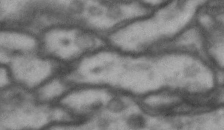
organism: Drosophila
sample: Brain